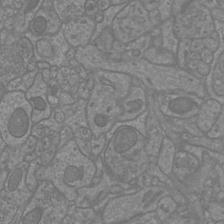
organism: Mouse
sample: Cortical neurons